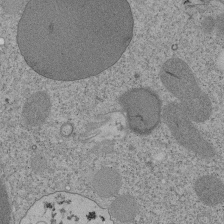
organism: Tetrahymena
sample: Cilia in tetrahymena